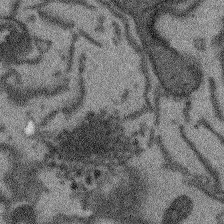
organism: Arabidopsis thaliana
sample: Root tip